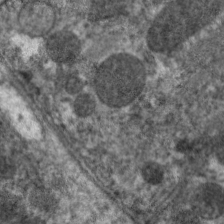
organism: C. elegans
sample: Pharynx